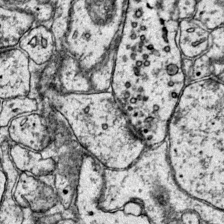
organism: Mouse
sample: Primary visual cortex